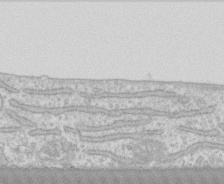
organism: Human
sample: CRL-1474